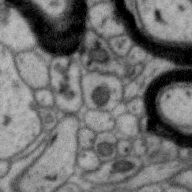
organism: Zebra finch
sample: Brain